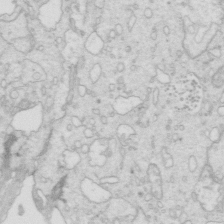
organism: Mouse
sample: Multiciliated cells